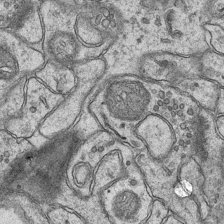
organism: Mouse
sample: CA1 Hippocampus